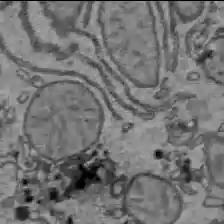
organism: C57BL Mouse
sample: Liver